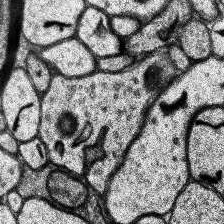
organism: Human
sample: Temporal Lobe